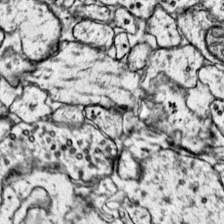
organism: Mouse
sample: Primary visual cortex